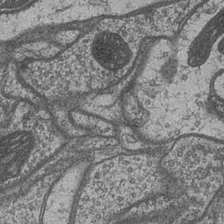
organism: Drosophila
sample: Optic medulla